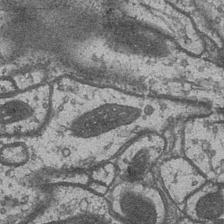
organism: Drosophila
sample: Optic medulla